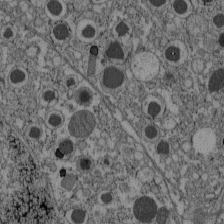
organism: C57BL Mouse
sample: Pancreatic islet